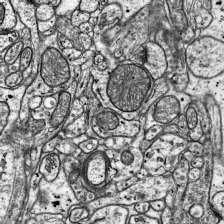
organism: Mouse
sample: Visual Cortex